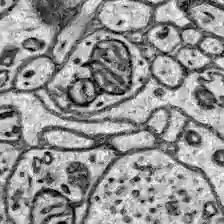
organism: Zebrafish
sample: Brain